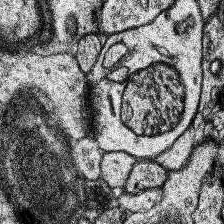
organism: Human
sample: Temporal Lobe